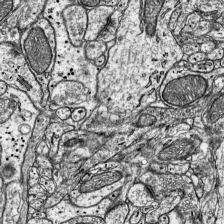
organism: Mouse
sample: Visual Cortex